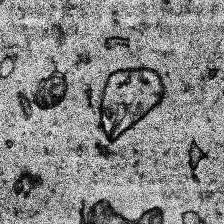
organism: Human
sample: Temporal Lobe